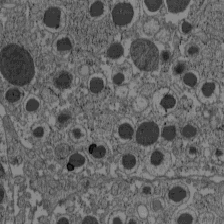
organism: C57BL Mouse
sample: Pancreatic islet